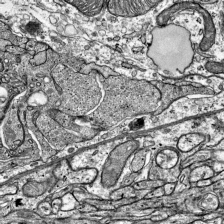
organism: Mouse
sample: Visual Cortex